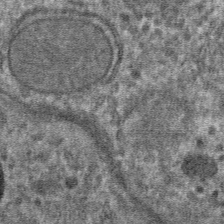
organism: Mouse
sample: Mouse hepatocytes